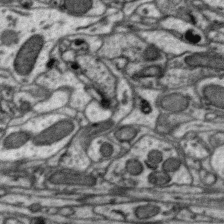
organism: Zebra finch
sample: Brain